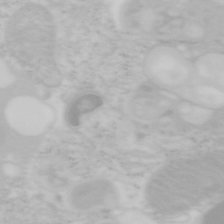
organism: Mouse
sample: OT-I killer T cells with ID8 ovarian cancer cells